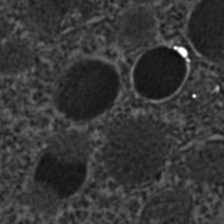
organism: C. elegans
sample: C. elegans embryo